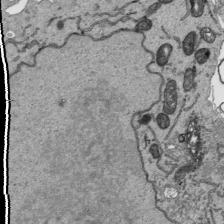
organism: Human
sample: Mitochondria in HCT116 cells